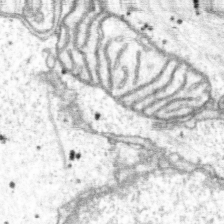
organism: Human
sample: HeLa cells